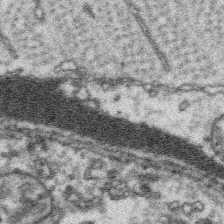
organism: Platynereis dumerilii